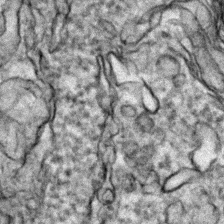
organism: Zebrafish